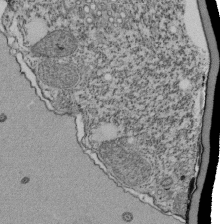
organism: Tetrahymena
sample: Cilia in tetrahymena